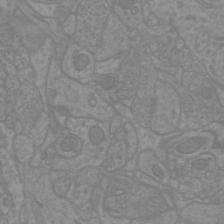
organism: Mouse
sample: Cortical neurons